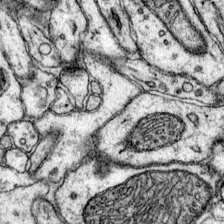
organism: Mouse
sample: Primary visual cortex